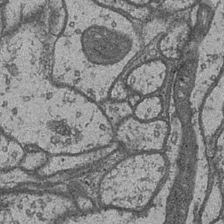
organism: Drosophila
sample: Optic medulla